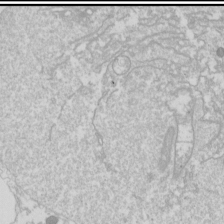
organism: Drosophila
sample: Cell division; meiosis; drosophila spermatocytes